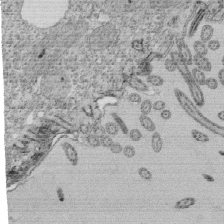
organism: Tetrahymena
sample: Cilia in tetrahymena